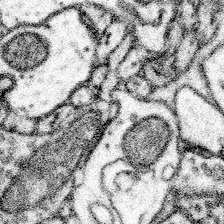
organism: Mouse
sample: Somatosensory cortex neuropil